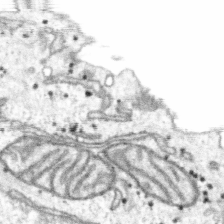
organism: Human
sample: HeLa cells